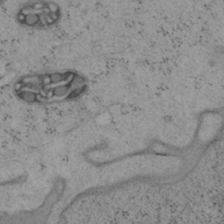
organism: Mouse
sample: OT-I killer T cells with ID8 ovarian cancer cells